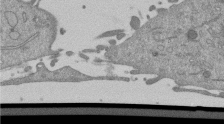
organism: Mouse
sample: ED-1 cell nuclei; centrioles